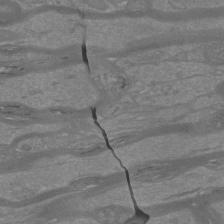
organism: Mouse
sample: Cortical neurons